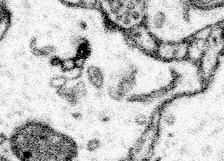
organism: Mouse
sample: Somatosensory cortex neuropil